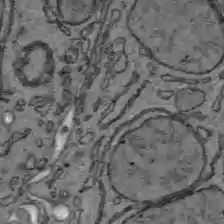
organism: C57BL Mouse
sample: Liver